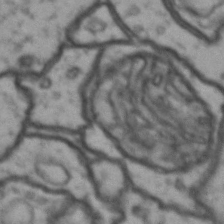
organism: Drosophila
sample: Brain